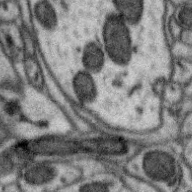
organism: Zebra finch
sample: Brain